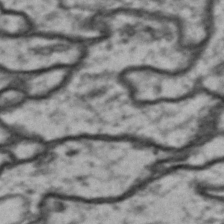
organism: Drosophila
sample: Brain